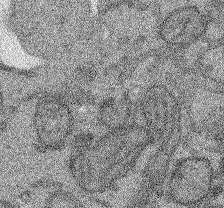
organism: Human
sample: HeLa cells